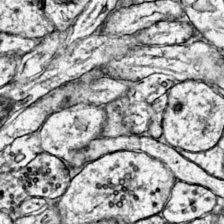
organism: Mouse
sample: Primary visual cortex